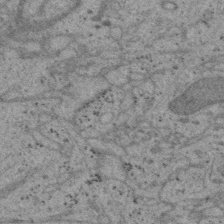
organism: Human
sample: HeLa cells